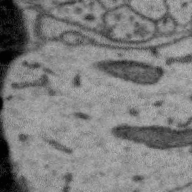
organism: Zebra finch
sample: Brain